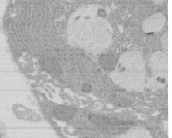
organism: Rat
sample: Salivary granule